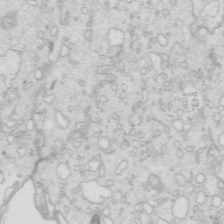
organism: Mouse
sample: Multiciliated cells